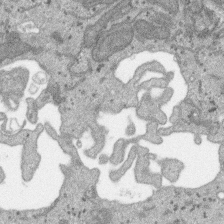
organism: Human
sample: Lung epithelial cells infected with SARS-CoV-2